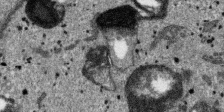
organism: Human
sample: Lung epithelial cells, uninfected (mock) control